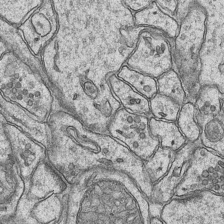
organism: Mouse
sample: CA1 Hippocampus